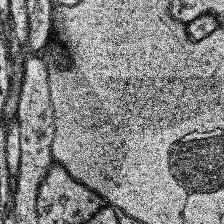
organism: Human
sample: Temporal Lobe